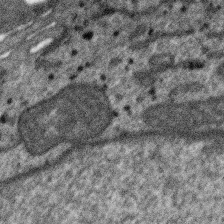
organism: Human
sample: Lung epithelial cells infected with SARS-CoV-2